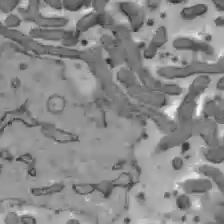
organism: C57BL Mouse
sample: Liver